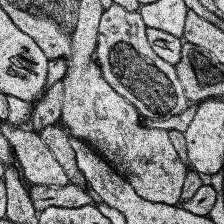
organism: Human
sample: Temporal Lobe